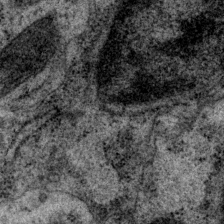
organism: P. pacificus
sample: Pharynx